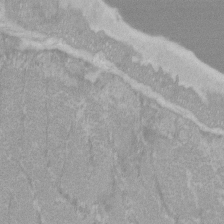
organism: C57BL Mouse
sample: Tibialis anterior muscle cell